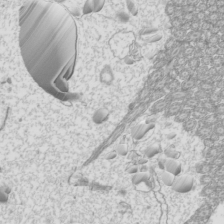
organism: Mouse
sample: Cilia; mouse epididymis